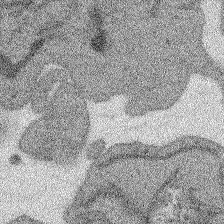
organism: Human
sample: HeLa cells